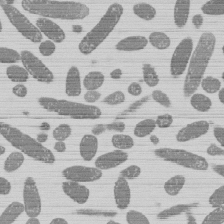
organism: E. coli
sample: Bacterial nucleoid